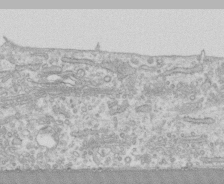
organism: Human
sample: CRL-1474